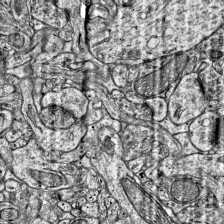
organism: Mouse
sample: Visual Cortex